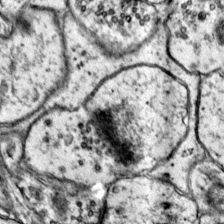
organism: Mouse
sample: Primary visual cortex